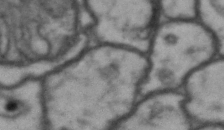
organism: Drosophila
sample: Brain